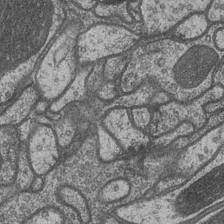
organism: Drosophila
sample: Optic medulla